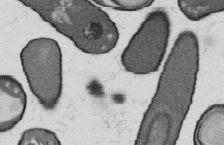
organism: B. subtilis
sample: Bacterial spore